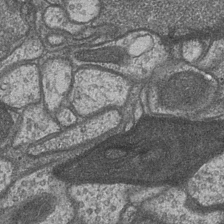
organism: Drosophila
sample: Optic medulla